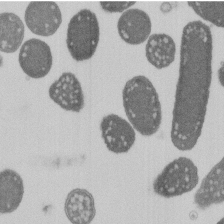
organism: E. coli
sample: Bacterial nucleoid